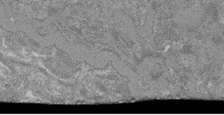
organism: Mouse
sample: Glomerulus